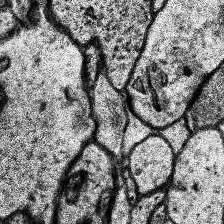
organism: Human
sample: Temporal Lobe